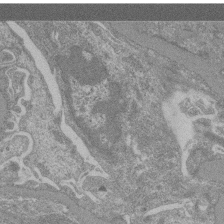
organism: Mouse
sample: Glomerulus